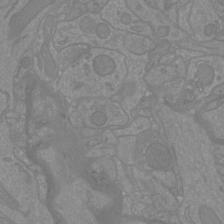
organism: Mouse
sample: Cortical neurons